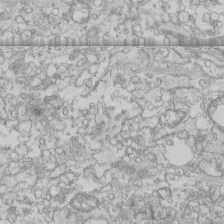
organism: Human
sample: CRL-1474